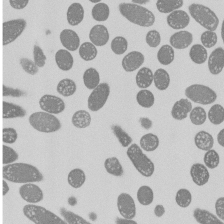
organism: E. coli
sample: Bacterial nucleoid